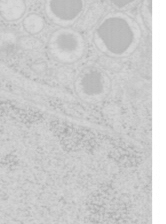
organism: Mouse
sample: Pancreas